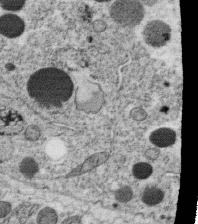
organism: C. elegans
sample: C. elegans oocyte; sperm cells